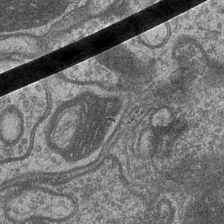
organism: Drosophila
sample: Optic medulla